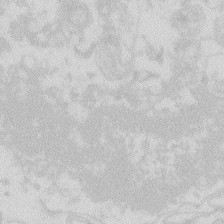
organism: Zebrafish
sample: Macrophage